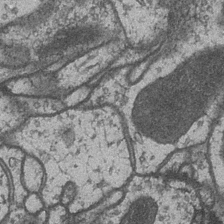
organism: Drosophila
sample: Optic medulla